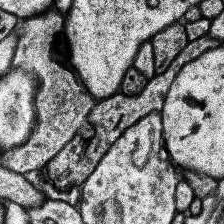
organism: Human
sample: Temporal Lobe